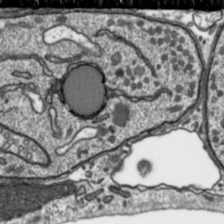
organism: Toxoplasma gondii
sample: Parasites in a vacuole inside a host cell